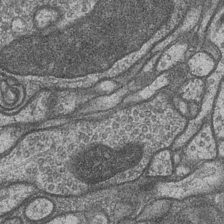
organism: Drosophila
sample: Optic medulla